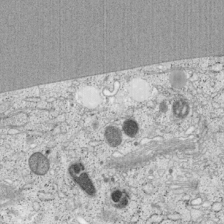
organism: African green monkey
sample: COS-7 cells